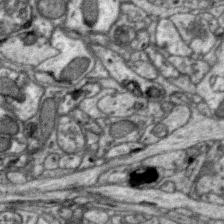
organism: Zebra finch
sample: Brain